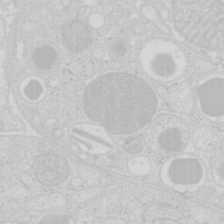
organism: Mouse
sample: Pancreas